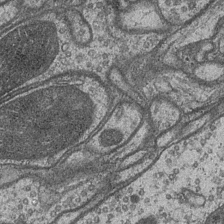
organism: Drosophila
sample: Optic medulla